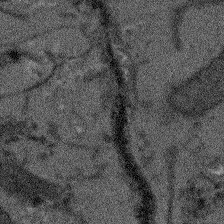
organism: Arabidopsis thaliana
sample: Root tip